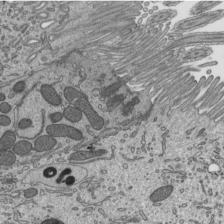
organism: Mouse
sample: Mouse epididymis efferent ductule cilia